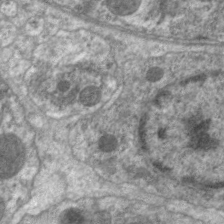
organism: C. elegans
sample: Pharynx